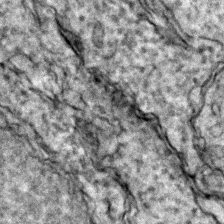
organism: Zebrafish